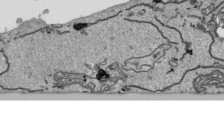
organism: Human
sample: Mitochondria in HCT116 cells